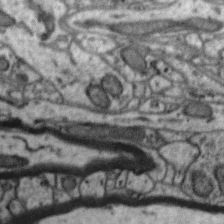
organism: Zebra finch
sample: Brain